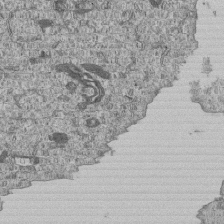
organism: Human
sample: MDA-MB-231 cells